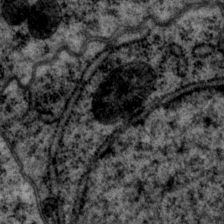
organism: P. pacificus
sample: Pharynx